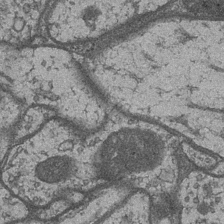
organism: Drosophila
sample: Optic medulla